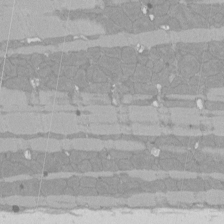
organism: Rat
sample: Left ventricle